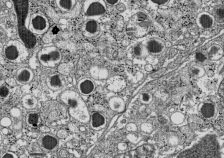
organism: C57BL Mouse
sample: Pancreatic islet